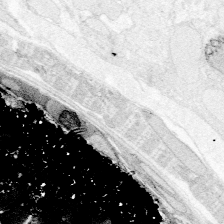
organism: Zebrafish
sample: Whole-Brain